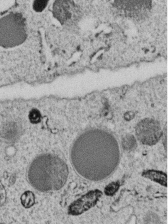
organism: C. elegans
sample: C. elegans embryo early stage